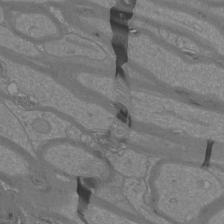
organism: Mouse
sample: Cortical neurons